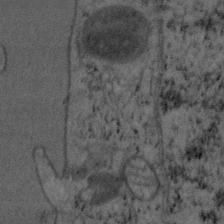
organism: Human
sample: HeLa cells